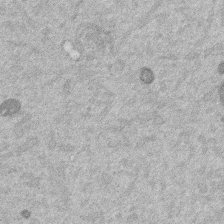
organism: Mouse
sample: Dividing mouse embryo 1 cell stage